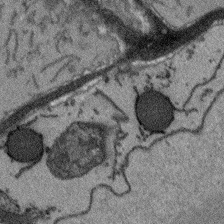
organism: Arabidopsis thaliana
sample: Root tip